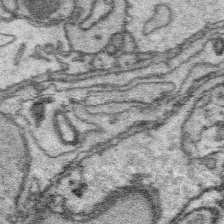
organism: Platynereis dumerilii